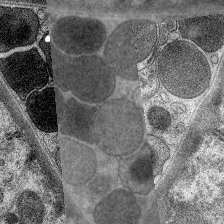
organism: C. elegans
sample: Pharynx